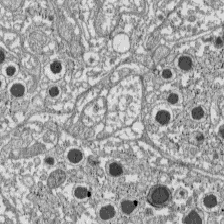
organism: C57BL Mouse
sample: Pancreatic islet